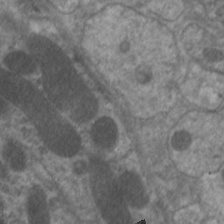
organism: C. elegans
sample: Pharynx